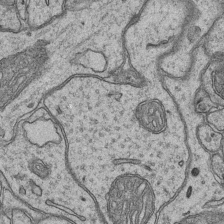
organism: Mouse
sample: CA1 Hippocampus